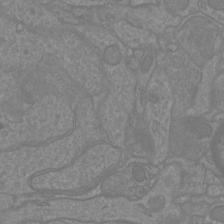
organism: Mouse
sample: Cortical neurons